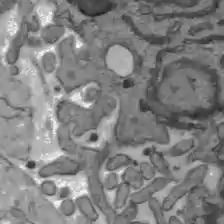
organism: C57BL Mouse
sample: Liver